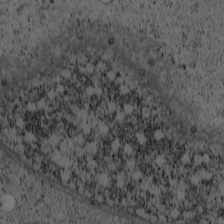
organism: African green monkey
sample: COS-7 cells